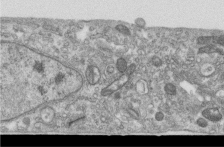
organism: Human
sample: Centriole in RPE cells